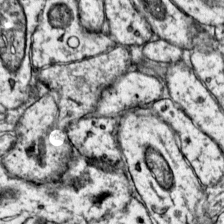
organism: Mouse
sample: Primary visual cortex